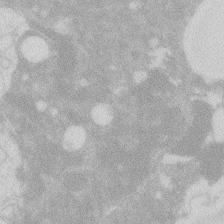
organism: Zebrafish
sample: Macrophage